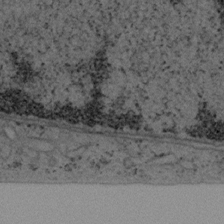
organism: Human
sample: HeLa cells